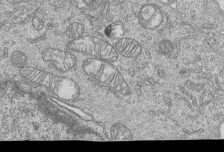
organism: Human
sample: MDA-MB-231 cells